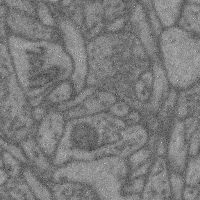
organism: Mouse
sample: Cerebral cortex